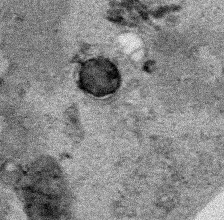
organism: Human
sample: Mitochondria in HCT116 cells